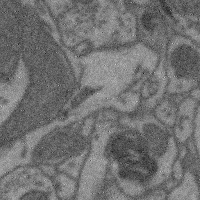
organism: Mouse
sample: Cerebral cortex